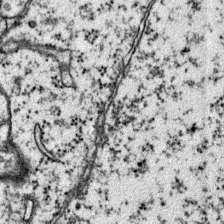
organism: Mouse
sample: Primary visual cortex